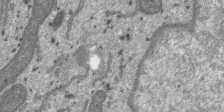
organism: Human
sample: Lung epithelial cells infected with SARS-CoV-2